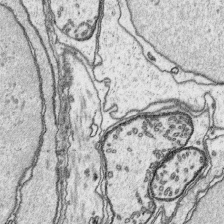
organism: Platynereis dumerilii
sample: Parapodia